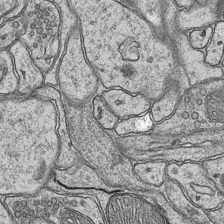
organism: Mouse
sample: CA1 Hippocampus